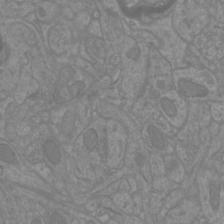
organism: Mouse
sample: Cortical neurons